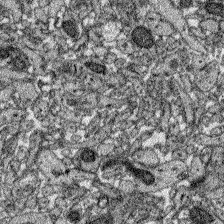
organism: Zebrafish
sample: Larval olfactory bulb